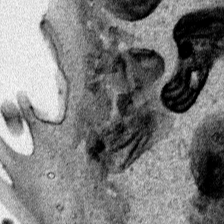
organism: Human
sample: Mitochondria in HCT116 cells